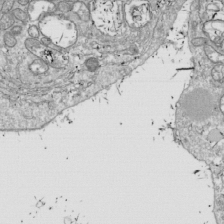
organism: Drosophila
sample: Cell division; meiosis; drosophila spermatocytes